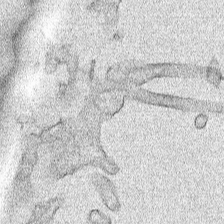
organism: Human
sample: Mitochondria in HCT116 cells